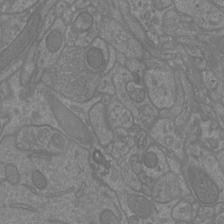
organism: Mouse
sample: Cortical neurons